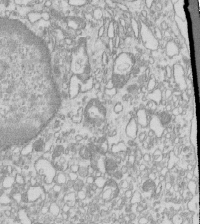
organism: Mouse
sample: Macrophages